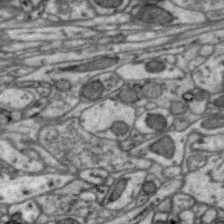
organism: Zebra finch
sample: Brain